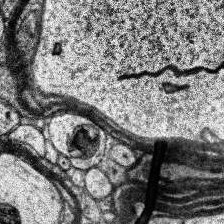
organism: Human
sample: Temporal Lobe